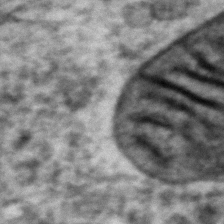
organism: Zebrafish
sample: Zebrafish embryo